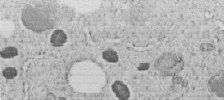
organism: C. elegans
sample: C. elegans embryo early stage